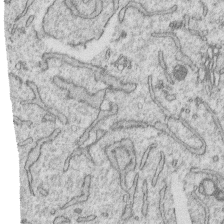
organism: Human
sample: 1205lu cells